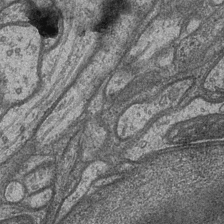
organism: Drosophila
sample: Optic medulla